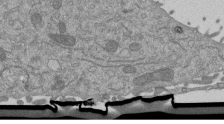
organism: Mouse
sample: ED-1 cell nuclei; centrioles